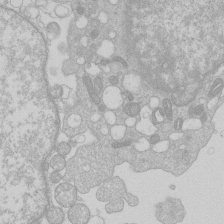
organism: Human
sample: Macrophage cells